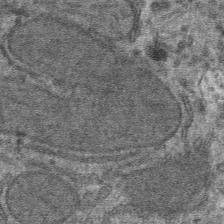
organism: Mouse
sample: Mouse hepatocytes